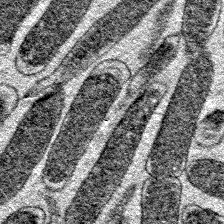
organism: E. coli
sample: E. Coli Bacteria